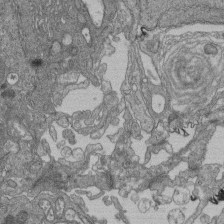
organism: Human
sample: Retinal organoid Rod and Cone cells